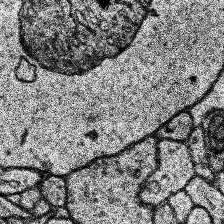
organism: Human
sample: Temporal Lobe